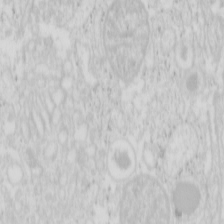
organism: Mouse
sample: Pancreas